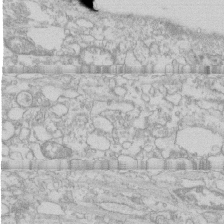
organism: Human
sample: CRL-1474